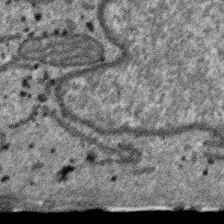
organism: Human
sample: Lung epithelial cells infected with SARS-CoV-2